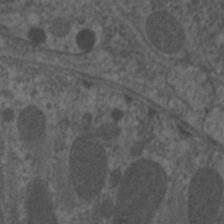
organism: C. elegans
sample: Pharynx